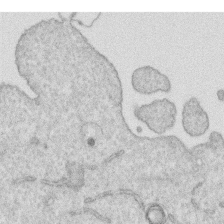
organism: Human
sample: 1205lu cells